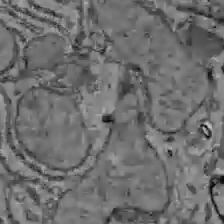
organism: C57BL Mouse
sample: Liver